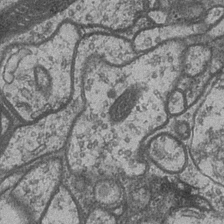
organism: Drosophila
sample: Optic medulla